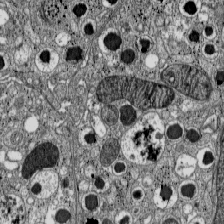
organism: C57BL Mouse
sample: Pancreatic islet